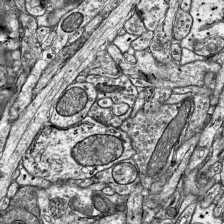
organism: Mouse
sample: Visual Cortex